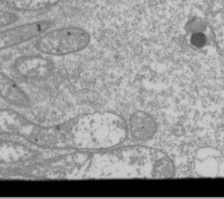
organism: Drosophila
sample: Cell division; meiosis; drosophila spermatocytes